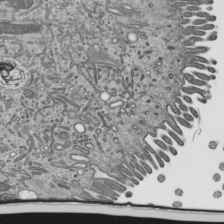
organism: Mouse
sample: Mouse epididymis efferent ductule cilia